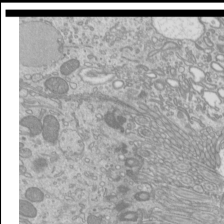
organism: Mouse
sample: Cilia; mouse epididymis